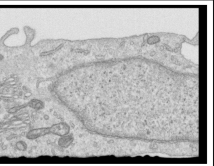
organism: Human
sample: Centriole in RPE cells